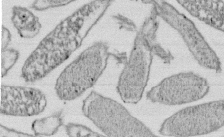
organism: E. coli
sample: Bacterial nucleoid